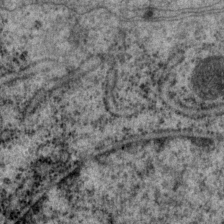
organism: P. pacificus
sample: Pharynx